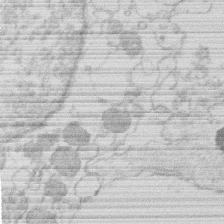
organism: Human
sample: Macrophage cells